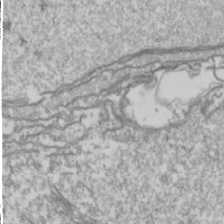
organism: Drosophila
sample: Cell division; meiosis; drosophila spermatocytes